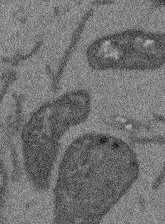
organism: Arabidopsis thaliana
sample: Root tip